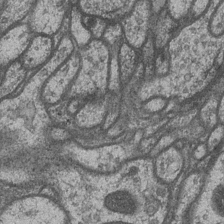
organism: Drosophila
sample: Optic medulla